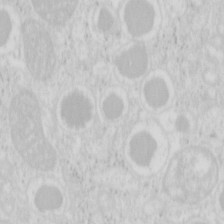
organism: Mouse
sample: Pancreas